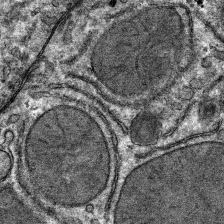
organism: Mouse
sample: Mouse hepatocytes